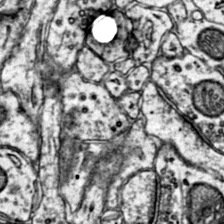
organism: Mouse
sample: Primary visual cortex